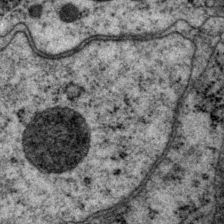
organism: P. pacificus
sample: Pharynx